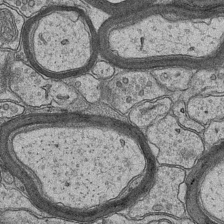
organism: Mouse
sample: CA1 Hippocampus